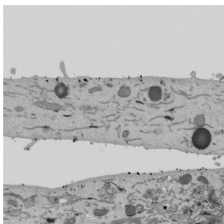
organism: Mouse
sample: ED-1 cell nuclei; centrioles